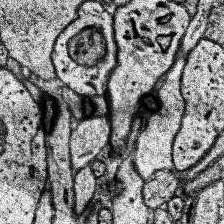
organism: Human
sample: Temporal Lobe